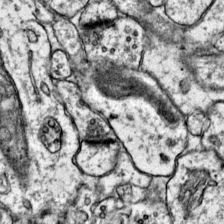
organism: Mouse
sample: Primary visual cortex